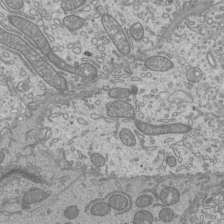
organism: Mouse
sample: Cilia; mouse epididymis